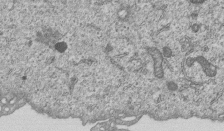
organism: Human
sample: MDA-MB-231 cells